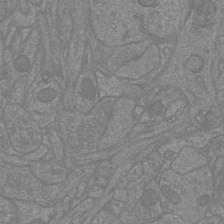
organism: Mouse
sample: Cortical neurons